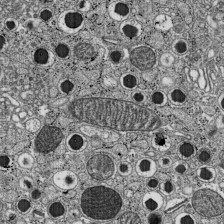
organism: C57BL Mouse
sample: Pancreatic islet